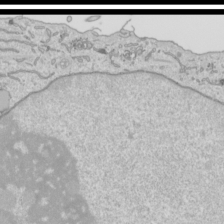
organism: Human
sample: Mitochondria in HCT116 cells